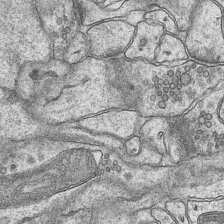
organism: Mouse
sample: CA1 Hippocampus